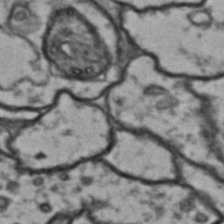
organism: Drosophila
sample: Brain